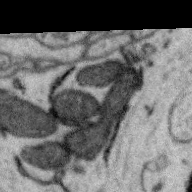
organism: Zebra finch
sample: Brain